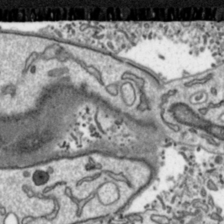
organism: Toxoplasma gondii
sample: Parasites in a vacuole inside a host cell